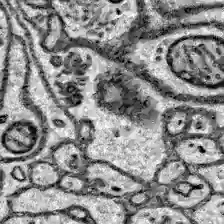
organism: Zebrafish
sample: Brain